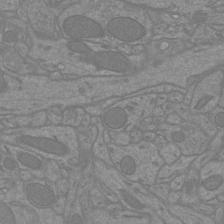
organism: Mouse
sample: Cortical neurons